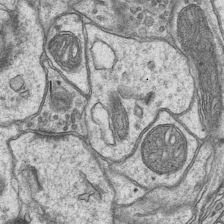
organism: Mouse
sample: CA1 Hippocampus